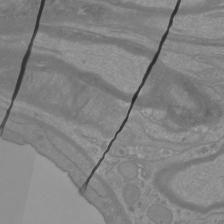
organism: Mouse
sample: Cortical neurons